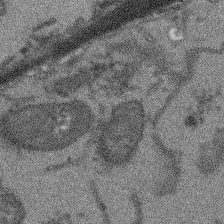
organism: Arabidopsis thaliana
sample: Root tip